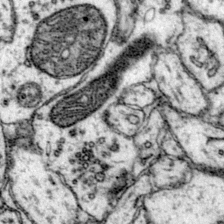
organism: Mouse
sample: Primary visual cortex